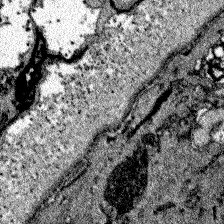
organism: Zebrafish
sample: Larval olfactory bulb